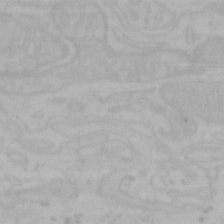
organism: Mouse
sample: Choroid plexus